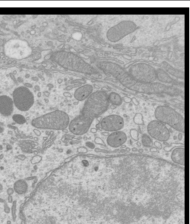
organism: Mouse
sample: Cilia; mouse epididymis